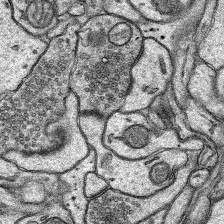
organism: Rat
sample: Hippocampus